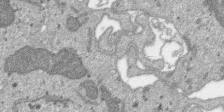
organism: Human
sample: Lung epithelial cells infected with SARS-CoV-2